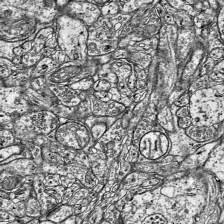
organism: Mouse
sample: Visual Cortex